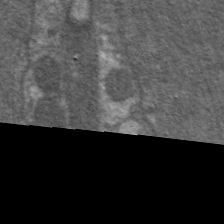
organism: C. elegans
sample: Pharynx